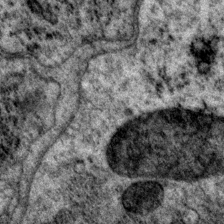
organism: P. pacificus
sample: Pharynx